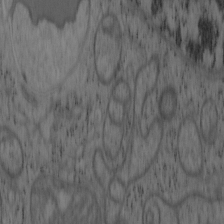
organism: Human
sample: HeLa cells